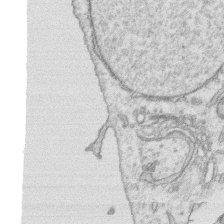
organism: Human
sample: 1205lu cells